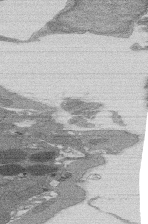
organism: Rat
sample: Salivary granule